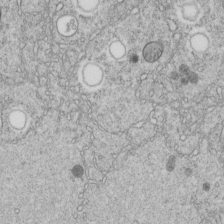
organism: C. elegans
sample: C. elegans embryo early stage